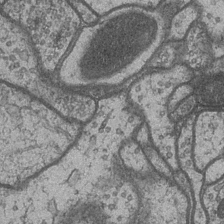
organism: Drosophila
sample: Optic medulla